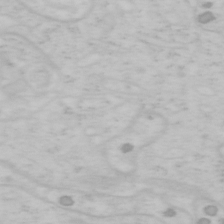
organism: Mouse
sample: OT-I killer T cells with ID8 ovarian cancer cells